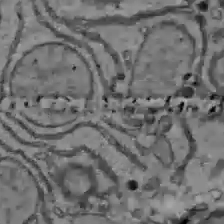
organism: C57BL Mouse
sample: Liver